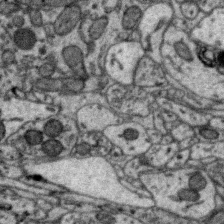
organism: Zebra finch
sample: Brain